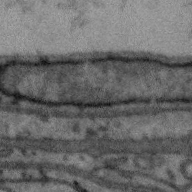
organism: Zebra finch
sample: Brain